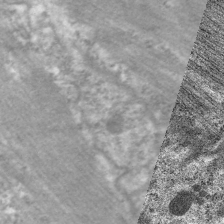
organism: C. elegans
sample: Pharynx